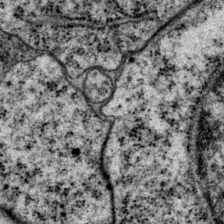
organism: P. pacificus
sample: Pharynx